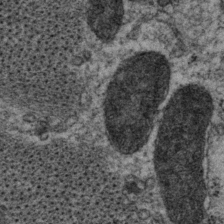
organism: P. pacificus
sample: Pharynx